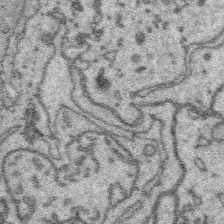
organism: Platynereis dumerilii